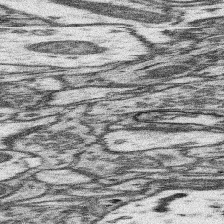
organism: Mouse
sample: Somatosensory cortex neuropil